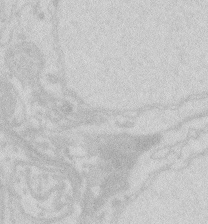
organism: Zebrafish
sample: Macrophage